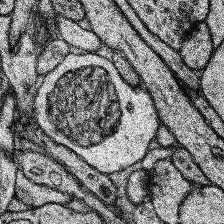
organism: Human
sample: Temporal Lobe